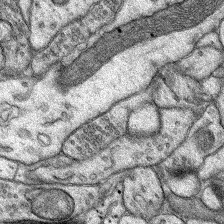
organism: Rat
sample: Hippocampus